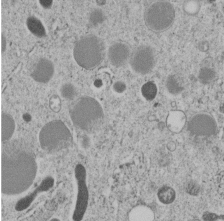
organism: C. elegans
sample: C. elegans embryo early stage